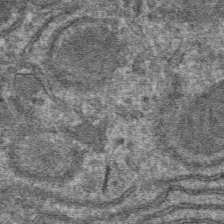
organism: Mouse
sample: Mouse hepatocytes